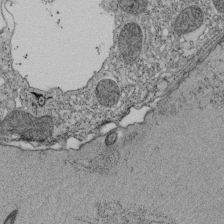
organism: Tetrahymena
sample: Cilia in tetrahymena